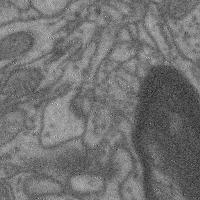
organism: Mouse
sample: Cerebral cortex